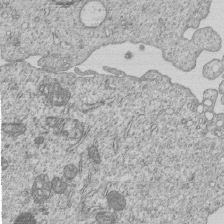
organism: Human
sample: MDA-MB-231 cells